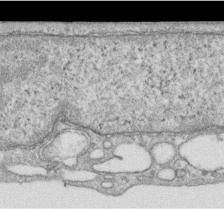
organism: Human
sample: Centriole in RPE cells